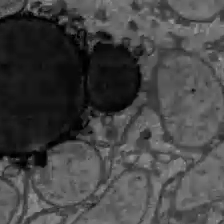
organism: C57BL Mouse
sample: Liver